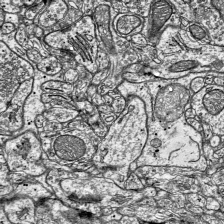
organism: Mouse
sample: Visual Cortex